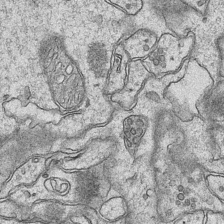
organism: Mouse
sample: CA1 Hippocampus